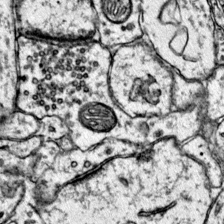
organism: Mouse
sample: Primary visual cortex